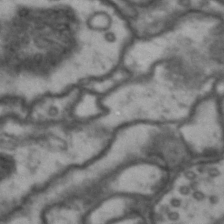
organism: Drosophila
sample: Brain